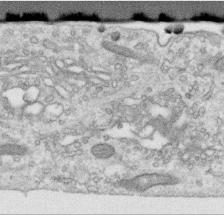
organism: Human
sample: Centriole in RPE cells